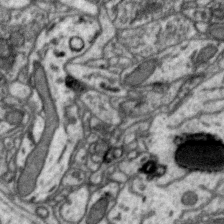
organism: Zebra finch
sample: Brain